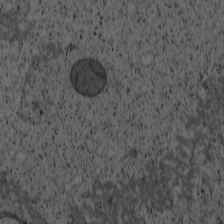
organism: African green monkey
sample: COS-7 cells